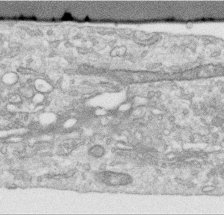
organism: Human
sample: Centriole in RPE cells